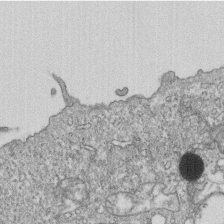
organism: Human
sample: HeLa cell HIV synapse